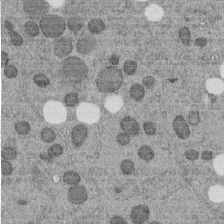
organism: C. elegans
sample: C. elegans embryo early stage